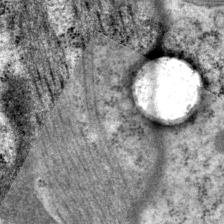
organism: P. pacificus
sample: Pharynx